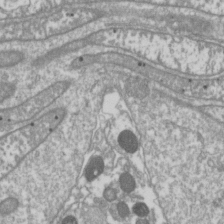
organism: Drosophila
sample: Cell division; meiosis; drosophila spermatocytes